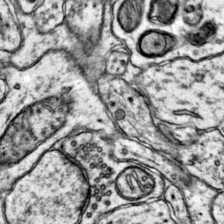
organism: Mouse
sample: Primary visual cortex